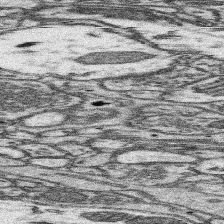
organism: Mouse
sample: Somatosensory cortex neuropil